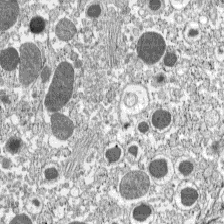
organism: C57BL Mouse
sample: Pancreatic islet